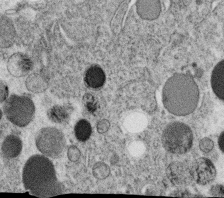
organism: C. elegans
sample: C. elegans oocyte; sperm cells